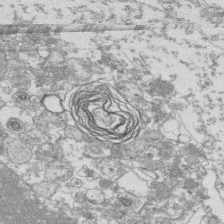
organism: Human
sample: HeLa cell HIV synapse